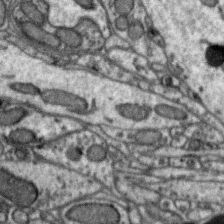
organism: Zebra finch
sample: Brain